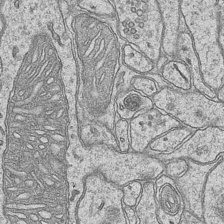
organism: Mouse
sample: CA1 Hippocampus